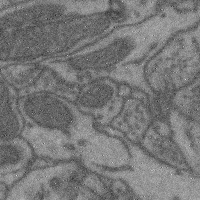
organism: Mouse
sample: Cerebral cortex